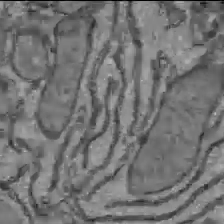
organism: C57BL Mouse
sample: Liver